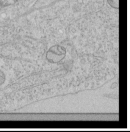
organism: Human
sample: Mitochondria in HCT116 cells